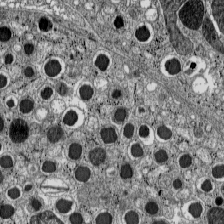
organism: C57BL Mouse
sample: Pancreatic islet